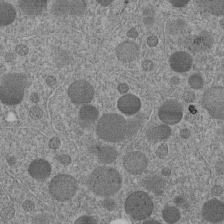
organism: C. elegans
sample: C. elegans embryo early stage